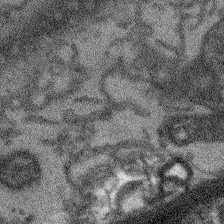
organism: Arabidopsis thaliana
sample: Root tip